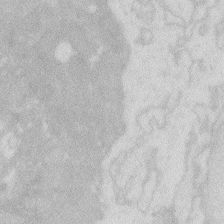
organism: Zebrafish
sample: Macrophage